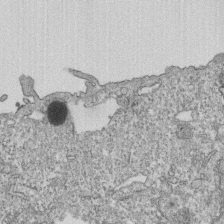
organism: Human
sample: HeLa cell HIV synapse